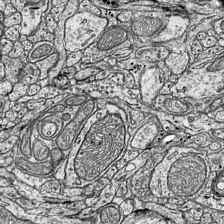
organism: Mouse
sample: Visual Cortex